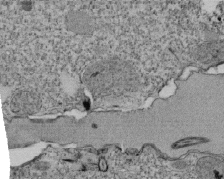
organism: Tetrahymena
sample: Cilia in tetrahymena